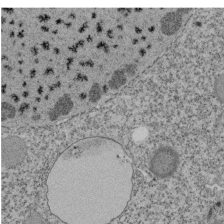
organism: Tetrahymena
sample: Cilia in tetrahymena